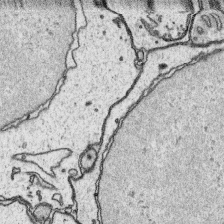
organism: Platynereis dumerilii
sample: Parapodia